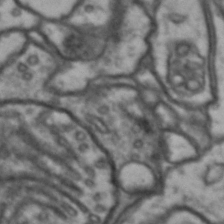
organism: Drosophila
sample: Brain